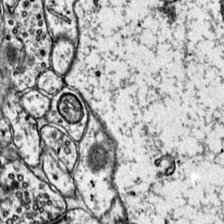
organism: Mouse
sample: Primary visual cortex